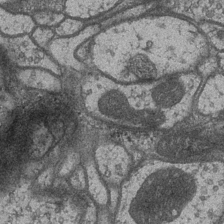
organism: Drosophila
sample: Optic medulla